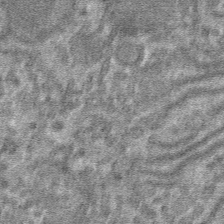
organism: Mouse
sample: Mouse hepatocytes